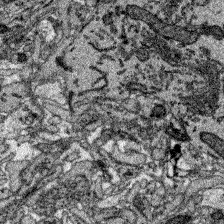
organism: Zebrafish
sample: Larval olfactory bulb